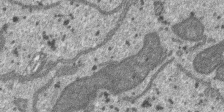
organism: Human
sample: Lung epithelial cells infected with SARS-CoV-2